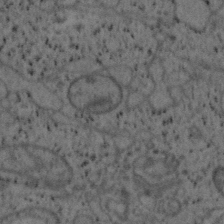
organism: Human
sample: HeLa cells